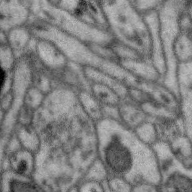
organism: Zebra finch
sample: Brain